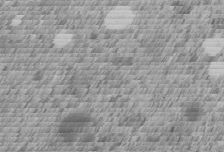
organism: C. elegans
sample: C. elegans embryo early stage